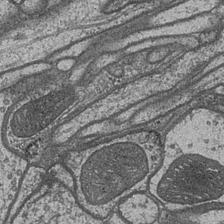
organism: Drosophila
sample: Optic medulla